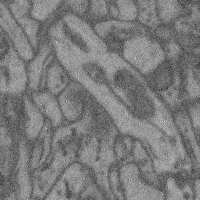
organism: Mouse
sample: Cerebral cortex